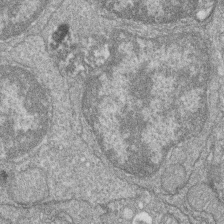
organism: Zebrafish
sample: Cilia; retinal pigment epithelium